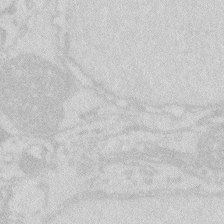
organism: Zebrafish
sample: Macrophage